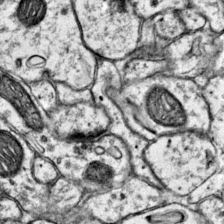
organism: Mouse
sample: Primary visual cortex